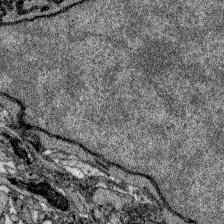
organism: Zebrafish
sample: Larval olfactory bulb